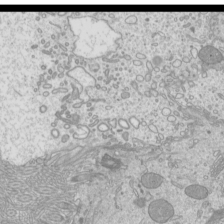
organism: Mouse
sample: Cilia; mouse epididymis